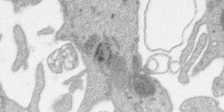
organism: Human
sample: Lung epithelial cells infected with SARS-CoV-2